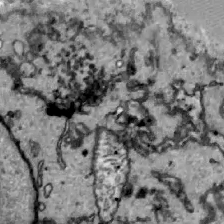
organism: Zebrafish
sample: Actinotrichia fibers